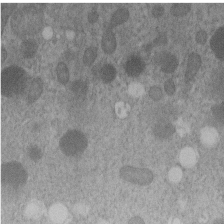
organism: C. elegans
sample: C. elegans embryo early stage